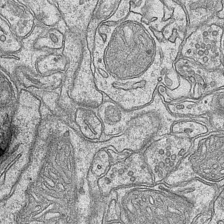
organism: Mouse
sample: CA1 Hippocampus